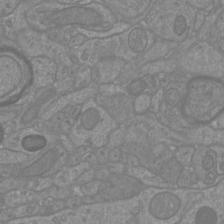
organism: Mouse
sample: Cortical neurons